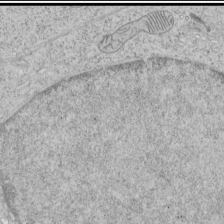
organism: Human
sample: Mitochondria in HCT116 cells